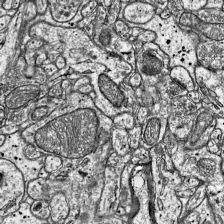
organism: Mouse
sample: Visual Cortex